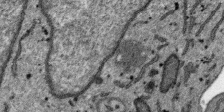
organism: Human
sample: Lung epithelial cells, uninfected (mock) control